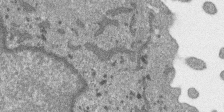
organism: Human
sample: Lung epithelial cells infected with SARS-CoV-2